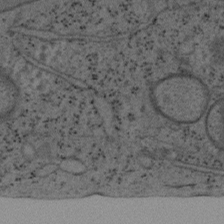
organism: Human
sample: HeLa cells